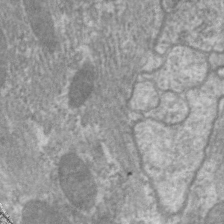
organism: C. elegans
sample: Pharynx